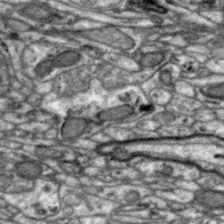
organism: Zebra finch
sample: Brain